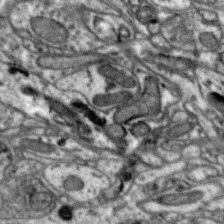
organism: Zebra finch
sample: Brain